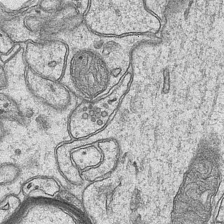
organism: Mouse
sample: CA1 Hippocampus